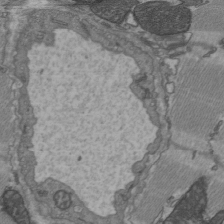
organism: C57BL Mouse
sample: Heart